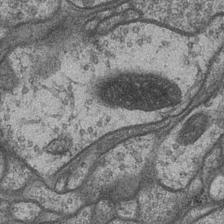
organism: Drosophila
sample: Optic medulla